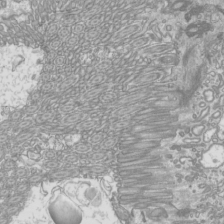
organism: Mouse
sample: Cilia; mouse epididymis